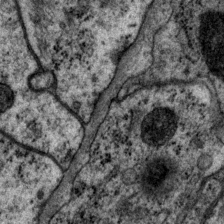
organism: P. pacificus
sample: Pharynx